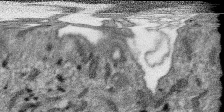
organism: Human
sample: Lung epithelial cells infected with SARS-CoV-2